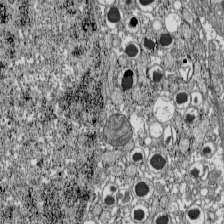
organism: C57BL Mouse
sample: Pancreatic islet